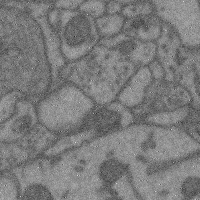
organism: Mouse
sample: Cerebral cortex